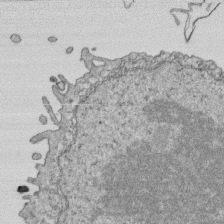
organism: Human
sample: HeLa cell HIV synapse